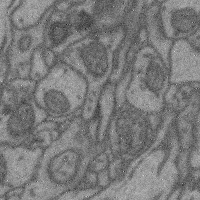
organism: Mouse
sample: Cerebral cortex